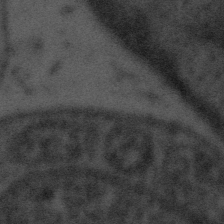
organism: Tuwongella immobilis